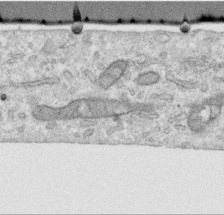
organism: Human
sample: Centriole in RPE cells